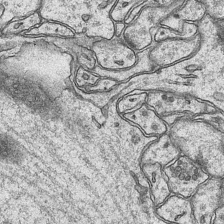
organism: Mouse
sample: CA1 Hippocampus